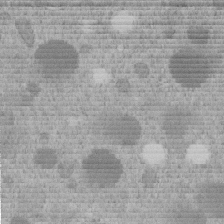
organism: C. elegans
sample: C. elegans embryo early stage